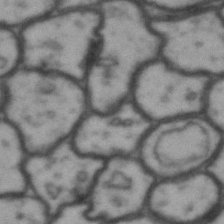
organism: Drosophila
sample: Brain